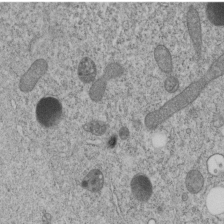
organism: C. elegans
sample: C. elegans embryo early stage